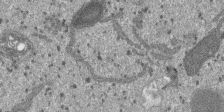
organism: Human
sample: Lung epithelial cells infected with SARS-CoV-2